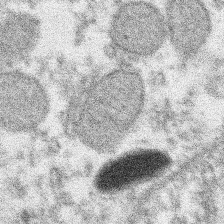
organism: Xenopus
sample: Cilia; centrioles in frog embryo cells